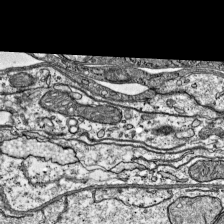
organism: Mouse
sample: Visual Cortex